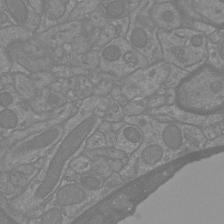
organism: Mouse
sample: Cortical neurons